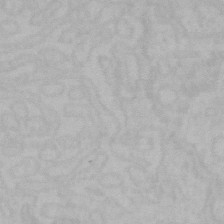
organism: Mouse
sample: Choroid plexus